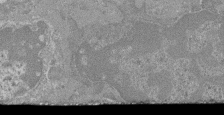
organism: Mouse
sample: Glomerulus